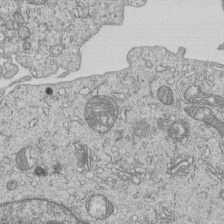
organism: Human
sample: MDA-MB-231 cells